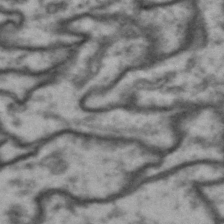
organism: Drosophila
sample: Brain